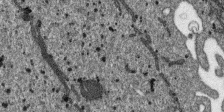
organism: Human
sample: Lung epithelial cells infected with SARS-CoV-2